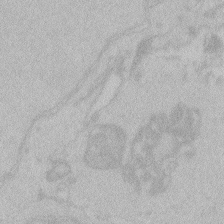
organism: Zebrafish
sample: Macrophage infected with Toxoplasma gondii